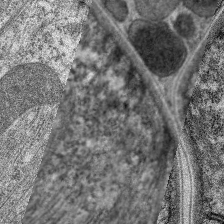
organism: C. elegans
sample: Pharynx